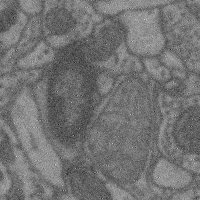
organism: Mouse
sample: Cerebral cortex